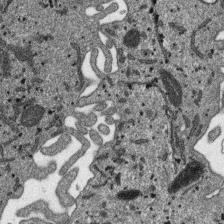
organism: Human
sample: Lung epithelial cells infected with SARS-CoV-2